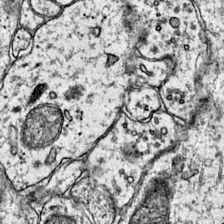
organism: Mouse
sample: Primary visual cortex